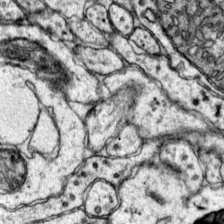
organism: Mouse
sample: Primary visual cortex